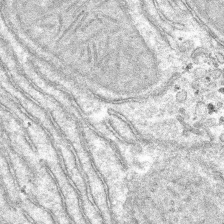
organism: Mouse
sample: Mouse hepatocytes